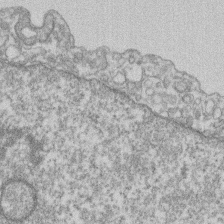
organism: Mouse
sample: T cell stromal cell synapse